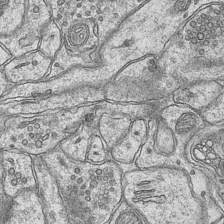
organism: Mouse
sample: CA1 Hippocampus